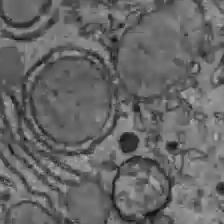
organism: C57BL Mouse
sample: Liver